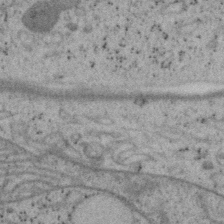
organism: Human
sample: HeLa cells